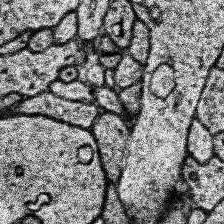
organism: Human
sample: Temporal Lobe